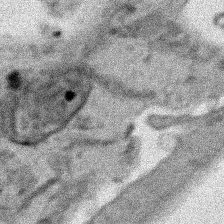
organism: Human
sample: Mitochondria in HCT116 cells